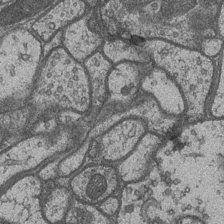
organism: Drosophila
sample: Optic medulla